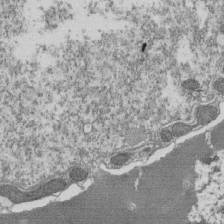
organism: Tetrahymena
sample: Cilia in tetrahymena